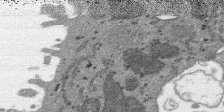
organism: Human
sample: Lung epithelial cells infected with SARS-CoV-2